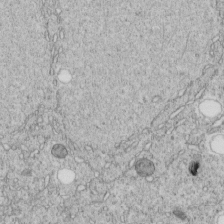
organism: C. elegans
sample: C. elegans embryo early stage